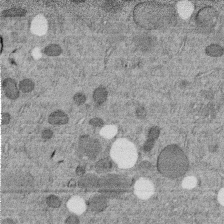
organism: C. elegans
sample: C. elegans embryo early stage